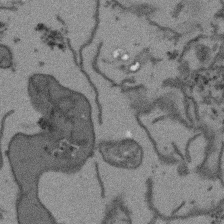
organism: Arabidopsis thaliana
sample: Root tip